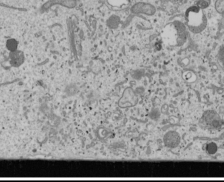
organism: Human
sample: Mitochondria in U2OS cells